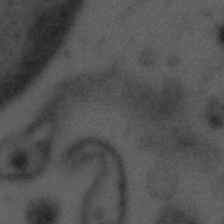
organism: Tuwongella immobilis